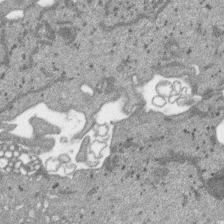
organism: Human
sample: Lung epithelial cells infected with SARS-CoV-2